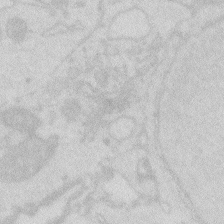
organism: Zebrafish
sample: Macrophage